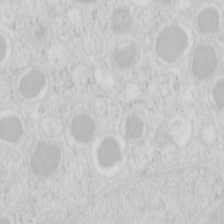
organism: Mouse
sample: Pancreas